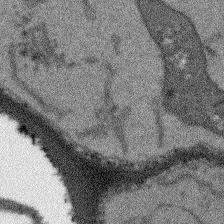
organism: Arabidopsis thaliana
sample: Root tip